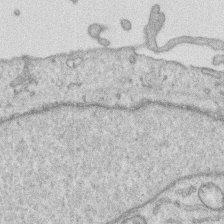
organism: Human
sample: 1205lu cells